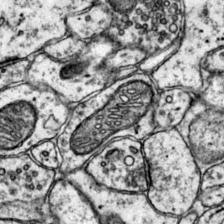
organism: Mouse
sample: Primary visual cortex